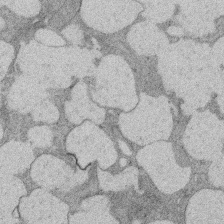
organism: Rat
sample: Salivary granule